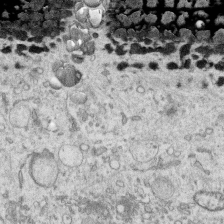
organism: Human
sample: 1205lu cells